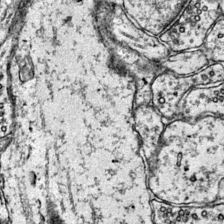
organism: Mouse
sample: Primary visual cortex